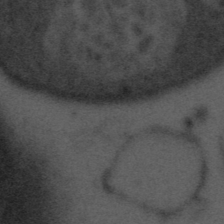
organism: Tuwongella immobilis